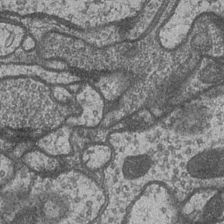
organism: Drosophila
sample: Optic medulla